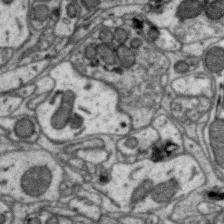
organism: Zebra finch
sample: Brain